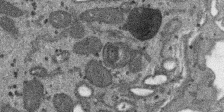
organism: Human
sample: Lung epithelial cells infected with SARS-CoV-2